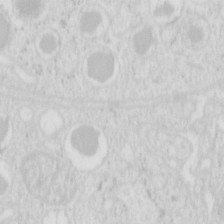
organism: Mouse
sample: Pancreas